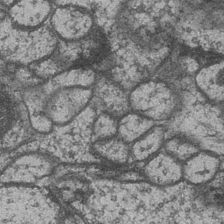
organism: Drosophila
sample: Optic medulla